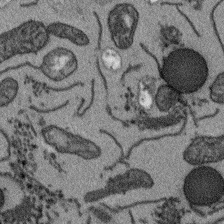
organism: Arabidopsis thaliana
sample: Root tip